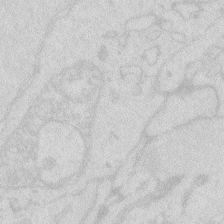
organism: Zebrafish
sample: Macrophage